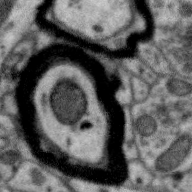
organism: Zebra finch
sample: Brain